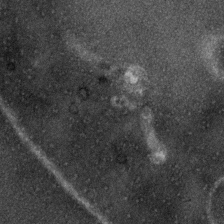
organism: Zebrafish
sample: Zebrafish embryo